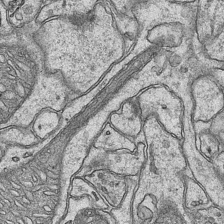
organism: Mouse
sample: CA1 Hippocampus